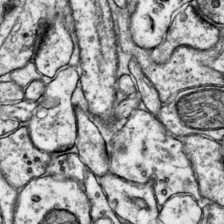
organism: Mouse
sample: Primary visual cortex